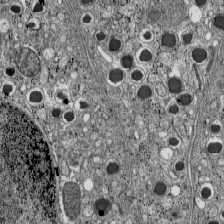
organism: C57BL Mouse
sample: Pancreatic islet